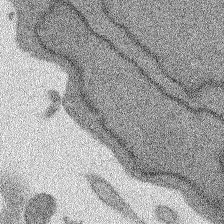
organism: Human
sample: HeLa cells